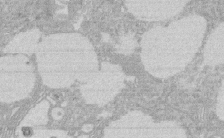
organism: Rat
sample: Salivary granule